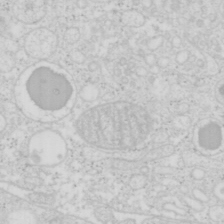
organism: Mouse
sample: Pancreas